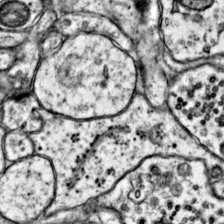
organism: Mouse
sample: Primary visual cortex